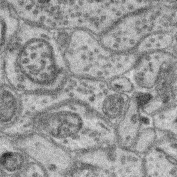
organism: Mouse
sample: Retina